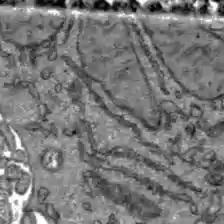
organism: C57BL Mouse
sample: Liver